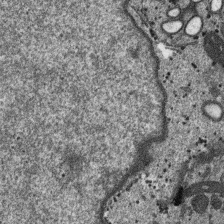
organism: Human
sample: Lung epithelial cells infected with SARS-CoV-2